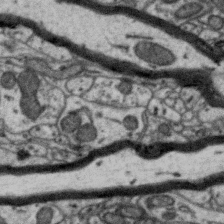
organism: Zebra finch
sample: Brain